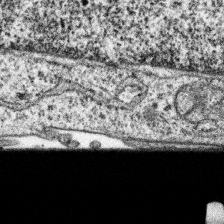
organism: Human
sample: HeLa cells